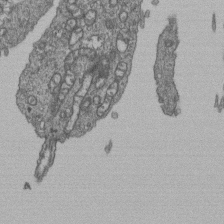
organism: Human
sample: Retinal organoid Rod and Cone cells